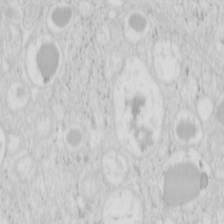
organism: Mouse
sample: Pancreas